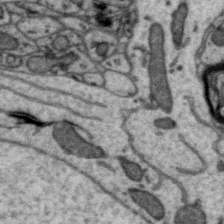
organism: Zebra finch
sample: Brain